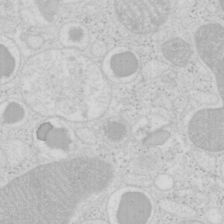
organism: Mouse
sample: Pancreas